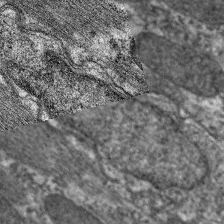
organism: C. elegans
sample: Pharynx